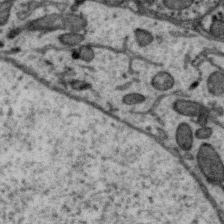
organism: Zebra finch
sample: Brain